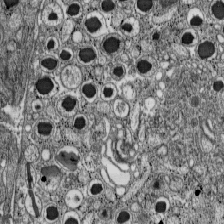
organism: C57BL Mouse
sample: Pancreatic islet